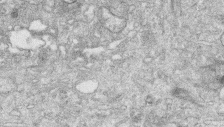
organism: Human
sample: HeLa cell HIV synapse